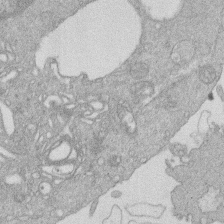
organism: Human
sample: Macrophage cells